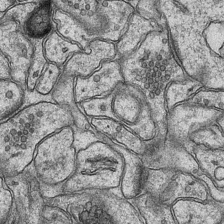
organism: Mouse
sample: CA1 Hippocampus